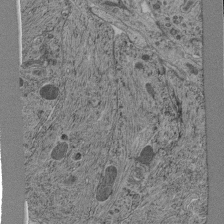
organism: C. elegans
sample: C. elegans pharynx